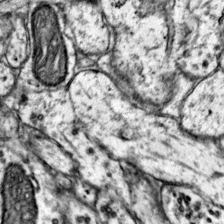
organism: Mouse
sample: Primary visual cortex